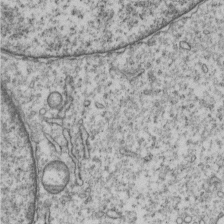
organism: Human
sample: MDA-MB-231 cells